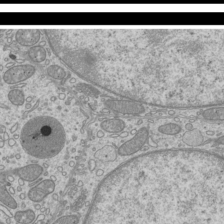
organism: Mouse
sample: Cilia; mouse epididymis